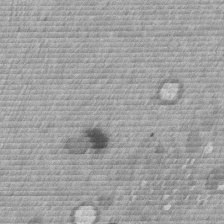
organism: Mouse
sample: Dividing mouse embryo 1 cell stage